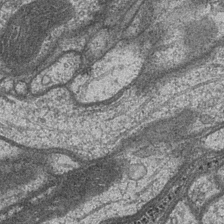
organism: Drosophila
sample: Optic medulla